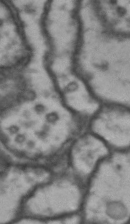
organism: Drosophila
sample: Brain